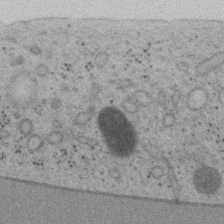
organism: Human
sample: HeLa cells